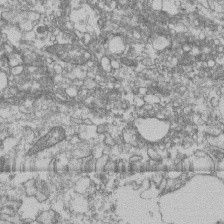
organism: Human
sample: Fibroblast cells